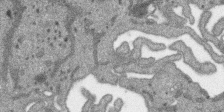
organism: Human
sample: Lung epithelial cells infected with SARS-CoV-2